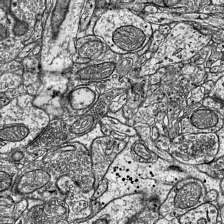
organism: Mouse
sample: Visual Cortex